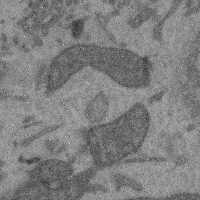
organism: Mouse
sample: Cerebral cortex